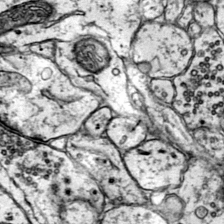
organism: Mouse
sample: Primary visual cortex